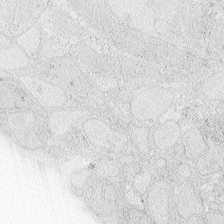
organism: Zebrafish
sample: Whole-Brain